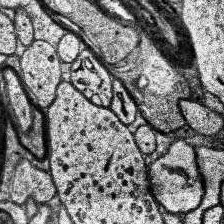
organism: Human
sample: Temporal Lobe